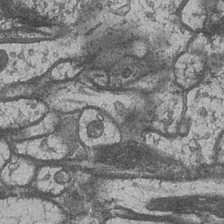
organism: Drosophila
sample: Optic medulla